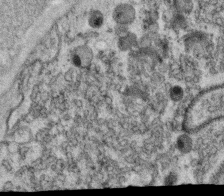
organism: C. elegans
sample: C. elegans oocyte; sperm cells